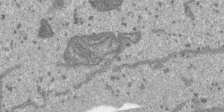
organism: Human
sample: Lung epithelial cells infected with SARS-CoV-2